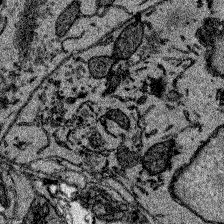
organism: Zebrafish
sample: Larval olfactory bulb